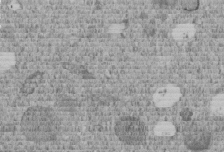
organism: C. elegans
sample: C. elegans embryo early stage